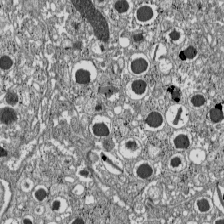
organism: C57BL Mouse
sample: Pancreatic islet